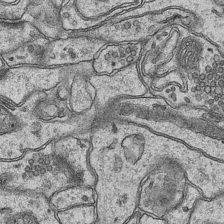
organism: Mouse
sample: CA1 Hippocampus